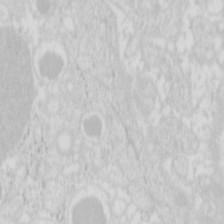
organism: Mouse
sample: Pancreas